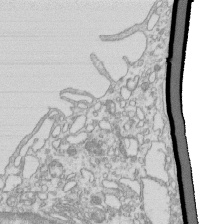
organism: Mouse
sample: Macrophages